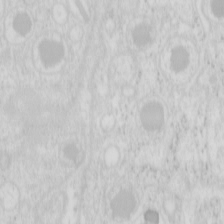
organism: Mouse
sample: Pancreas